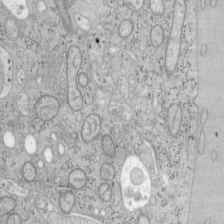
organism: Mouse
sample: OT-I killer T cells with ID8 ovarian cancer cells